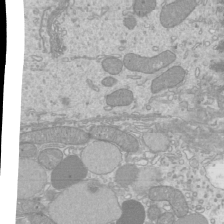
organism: Mouse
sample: Cilia; mouse epididymis